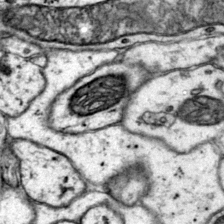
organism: Mouse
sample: Primary visual cortex